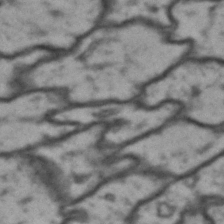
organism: Drosophila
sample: Brain